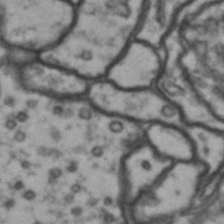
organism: Drosophila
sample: Brain